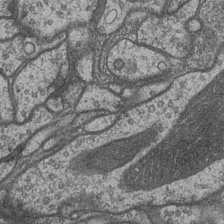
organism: Drosophila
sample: Optic medulla